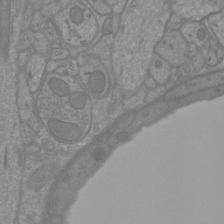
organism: Mouse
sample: Cortical neurons